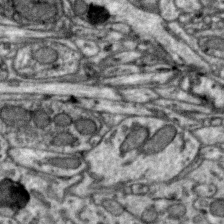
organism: Zebra finch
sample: Brain